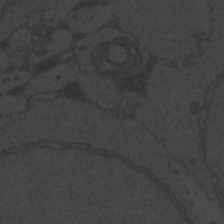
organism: Zebrafish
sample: Macrophage infected with Toxoplasma gondii